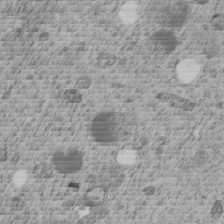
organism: C. elegans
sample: C. elegans embryo early stage